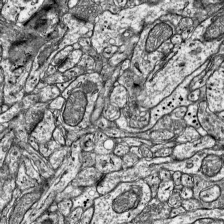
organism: Mouse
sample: Visual Cortex